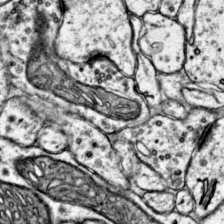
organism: Mouse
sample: Primary visual cortex